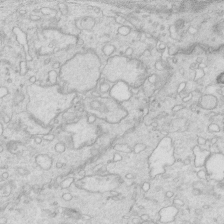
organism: Mouse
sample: Multiciliated cells